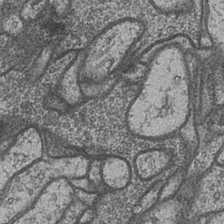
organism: Drosophila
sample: Optic medulla